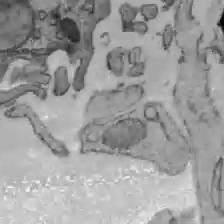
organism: C57BL Mouse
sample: Liver